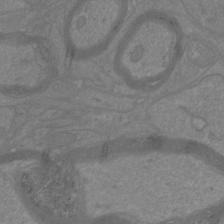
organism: Mouse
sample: Cortical neurons